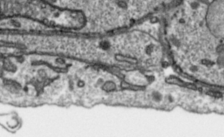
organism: Toxoplasma gondii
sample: Parasites in a vacuole inside a host cell